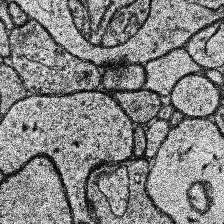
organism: Human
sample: Temporal Lobe